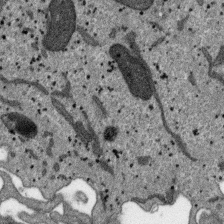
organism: Human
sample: Lung epithelial cells, uninfected (mock) control